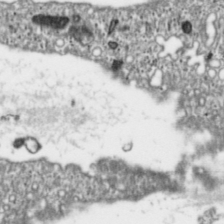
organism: Toxoplasma gondii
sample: Parasites in a vacuole inside a host cell